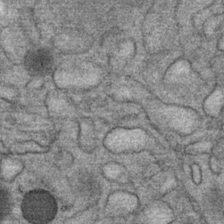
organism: Mouse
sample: Mouse Salivary gland